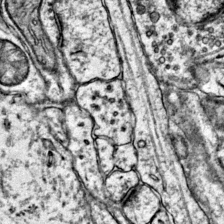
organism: Mouse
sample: Primary visual cortex